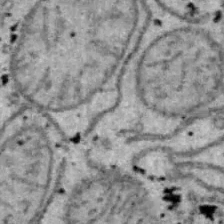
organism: Mouse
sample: Liver from an obese (ob/ob) mouse